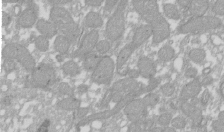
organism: Xenopus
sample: Cilia; centrioles in frog embryo cells